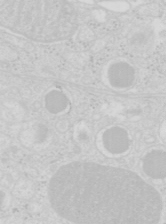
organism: Mouse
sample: Pancreas